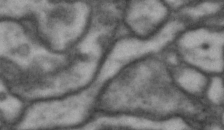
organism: Drosophila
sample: Brain